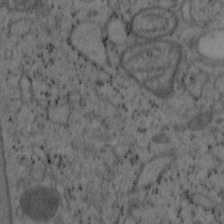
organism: Human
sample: HeLa cells